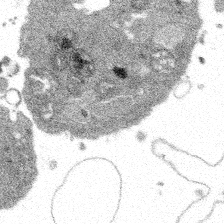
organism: Spongilla lacustris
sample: Multiple